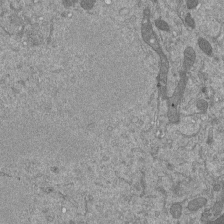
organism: Mouse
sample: ED-1 cell nuclei; centrioles